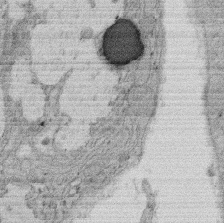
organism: Rat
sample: Salivary granule